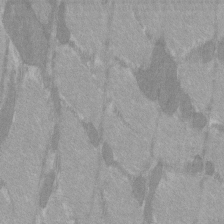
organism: C57BL Mouse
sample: Tibialis anterior muscle cell